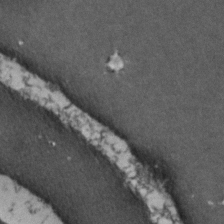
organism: Zebrafish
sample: Zebrafish embryo